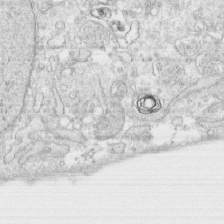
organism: Human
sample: CRL-1474